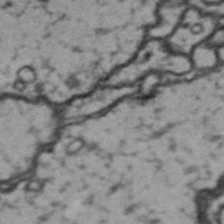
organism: Drosophila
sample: Brain